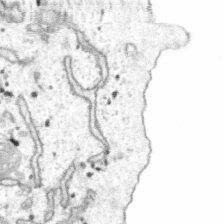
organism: Human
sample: HeLa cells